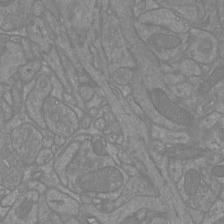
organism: Mouse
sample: Cortical neurons